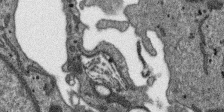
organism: Human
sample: Lung epithelial cells infected with SARS-CoV-2